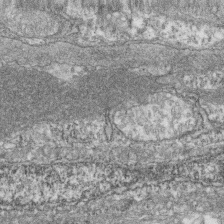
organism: Zebrafish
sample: Cilia; retinal pigment epithelium